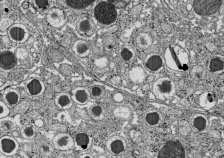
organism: C57BL Mouse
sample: Pancreatic islet